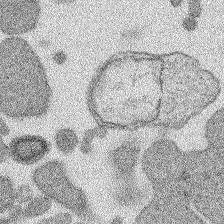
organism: Human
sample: HeLa cells